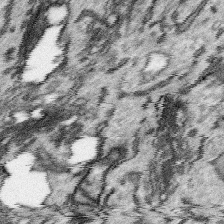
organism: Human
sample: HeLa cells